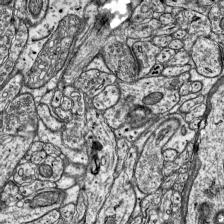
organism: Mouse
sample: Visual Cortex